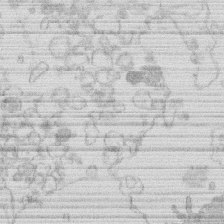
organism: Human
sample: Macrophage cells